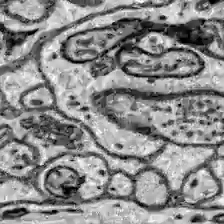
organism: Zebrafish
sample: Brain